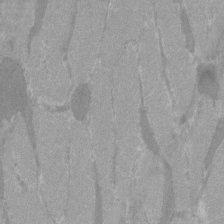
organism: C57BL Mouse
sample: Tibialis anterior muscle cell